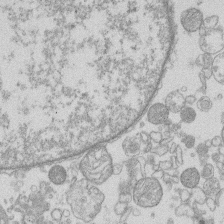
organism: Human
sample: Macrophage cells